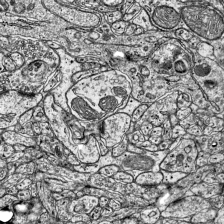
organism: Mouse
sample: Visual Cortex